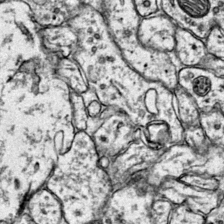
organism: Mouse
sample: Primary visual cortex